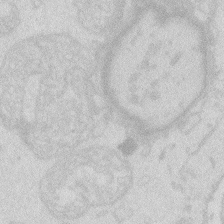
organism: Zebrafish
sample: Macrophage